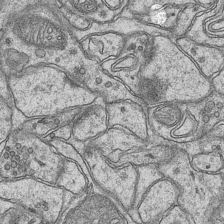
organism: Mouse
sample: CA1 Hippocampus